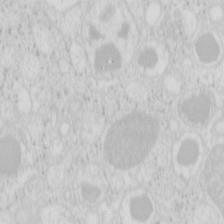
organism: Mouse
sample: Pancreas